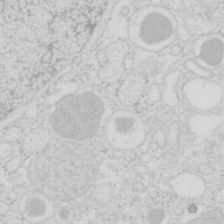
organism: Mouse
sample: Pancreas